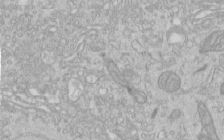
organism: Human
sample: Centriole in RPE cells